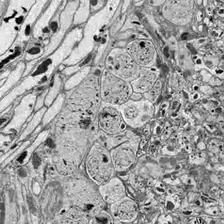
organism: Drosophila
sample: Optic lobe